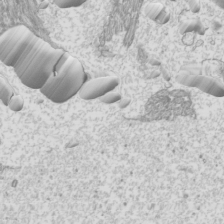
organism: Mouse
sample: Cilia; mouse epididymis